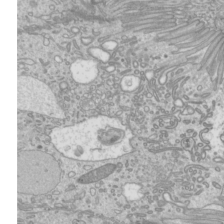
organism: Mouse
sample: Cilia; mouse epididymis